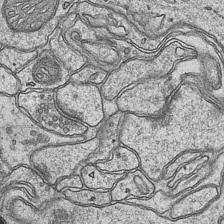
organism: Mouse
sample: CA1 Hippocampus